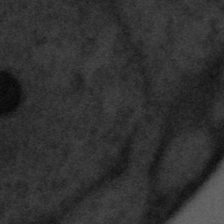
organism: Tuwongella immobilis